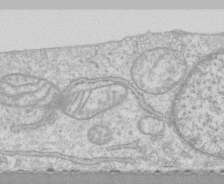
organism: Human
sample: CRL-1474